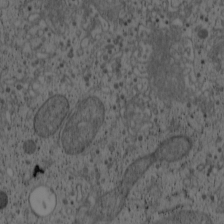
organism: African green monkey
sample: COS-7 cells